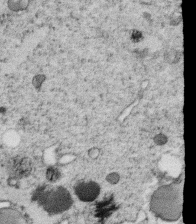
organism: C. elegans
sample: C. elegans oocyte; sperm cells